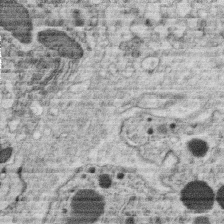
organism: C. elegans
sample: C. elegans oocyte; sperm cells